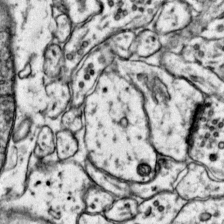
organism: Mouse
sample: Primary visual cortex